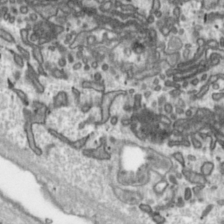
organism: Toxoplasma gondii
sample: Parasites in a vacuole inside a host cell